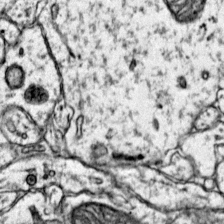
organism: Mouse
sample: Primary visual cortex